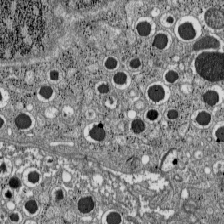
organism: C57BL Mouse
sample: Pancreatic islet